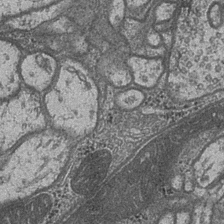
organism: Drosophila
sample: Optic medulla